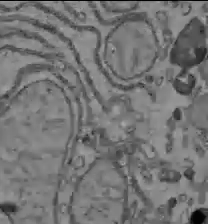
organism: C57BL Mouse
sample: Liver